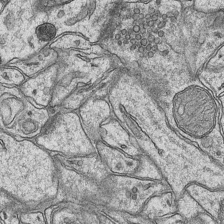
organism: Mouse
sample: CA1 Hippocampus